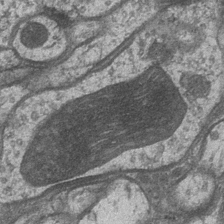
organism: Drosophila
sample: Optic medulla